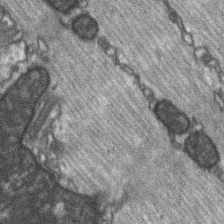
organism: C57BL Mouse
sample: Soleus